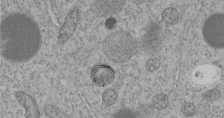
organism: C. elegans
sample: C. elegans embryo early stage